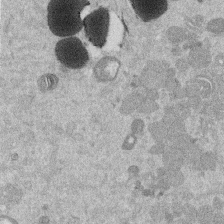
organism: Mouse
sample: Dividing mouse embryo 1 cell stage